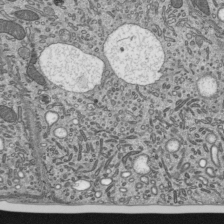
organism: Mouse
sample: Mouse epididymis efferent ductule cilia